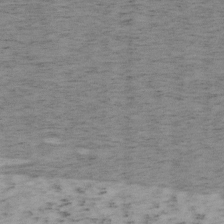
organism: Mouse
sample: OT-I killer T cells with ID8 ovarian cancer cells